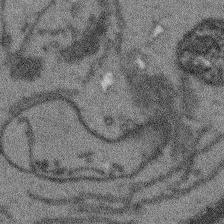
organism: Arabidopsis thaliana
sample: Root tip